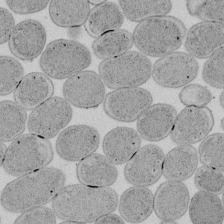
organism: E. coli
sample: Bacterial nucleoid